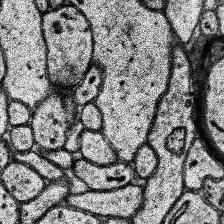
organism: Human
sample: Temporal Lobe